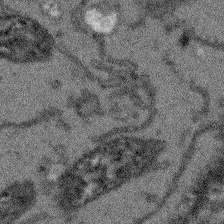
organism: Arabidopsis thaliana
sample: Root tip